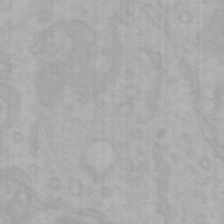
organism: Mouse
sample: Choroid plexus